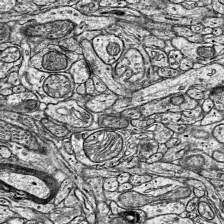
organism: Mouse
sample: Visual Cortex